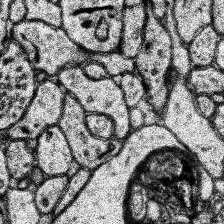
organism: Human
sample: Temporal Lobe